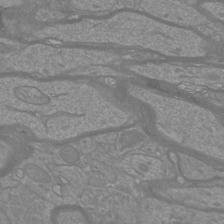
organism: Mouse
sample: Cortical neurons